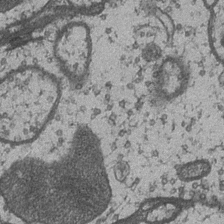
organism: Drosophila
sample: Optic medulla